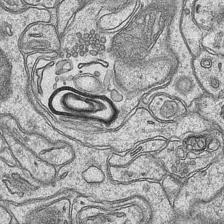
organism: Mouse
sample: CA1 Hippocampus